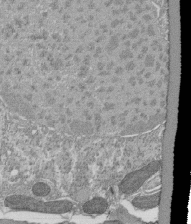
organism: Tetrahymena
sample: Cilia in tetrahymena